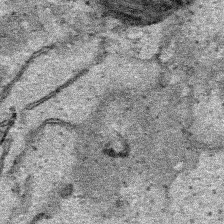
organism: Human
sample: Mitochondria in HCT116 cells